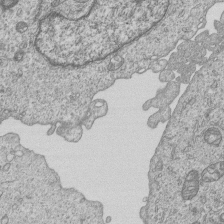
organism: Human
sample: MDA-MB-231 cells